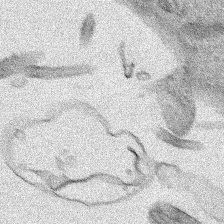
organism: Human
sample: Mitochondria in HCT116 cells